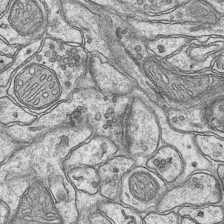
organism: Mouse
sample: CA1 Hippocampus